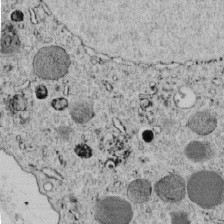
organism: C. elegans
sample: C. elegans embryo early stage